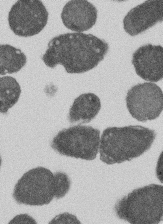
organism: E. coli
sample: Bacterial nucleoid